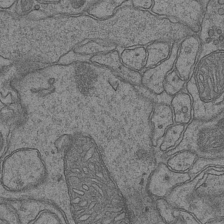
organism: Mouse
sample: CA1 Hippocampus